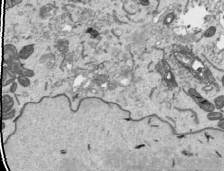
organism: Human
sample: Mitochondria in HCT116 cells